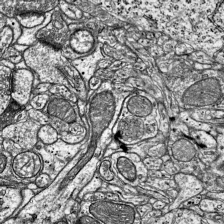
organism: Mouse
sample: Visual Cortex